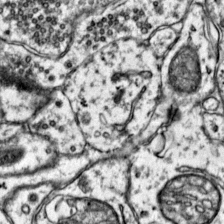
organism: Mouse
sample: Primary visual cortex